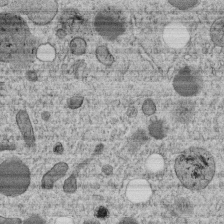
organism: C. elegans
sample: C. elegans embryo early stage